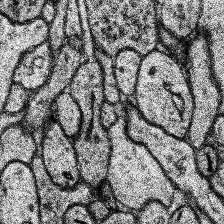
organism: Human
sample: Temporal Lobe